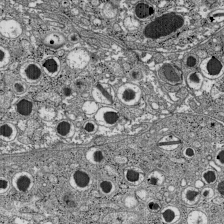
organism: C57BL Mouse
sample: Pancreatic islet